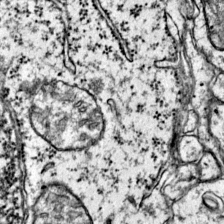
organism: Mouse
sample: Primary visual cortex